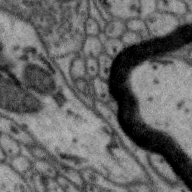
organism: Zebra finch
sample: Brain